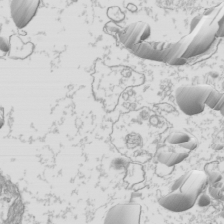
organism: Mouse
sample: Cilia; mouse epididymis